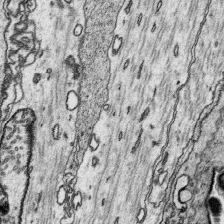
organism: Platynereis dumerilii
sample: Parapodia